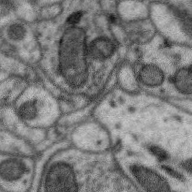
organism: Zebra finch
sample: Brain